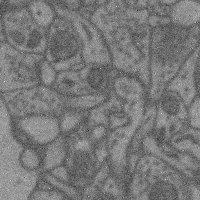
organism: Mouse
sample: Cerebral cortex